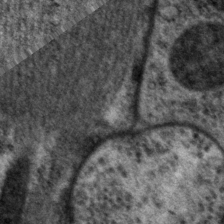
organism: P. pacificus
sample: Pharynx